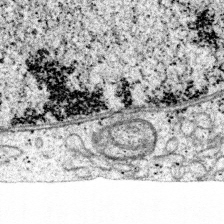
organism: Human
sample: HeLa cells